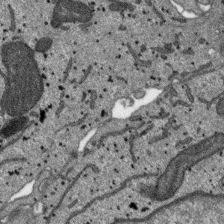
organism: Human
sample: Lung epithelial cells, uninfected (mock) control